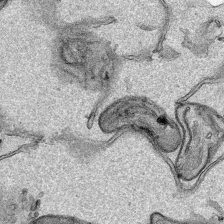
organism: Human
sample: Mitochondria in HCT116 cells